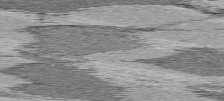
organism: C57BL Mouse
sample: Heart